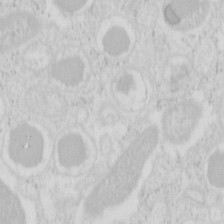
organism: Mouse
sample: Pancreas